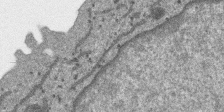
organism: Human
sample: Lung epithelial cells infected with SARS-CoV-2